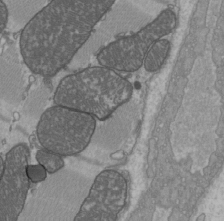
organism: C57BL Mouse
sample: Heart